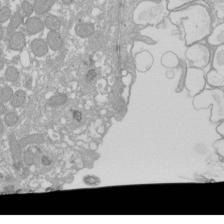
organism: Xenopus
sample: Cilia; centrioles in frog embryo cells